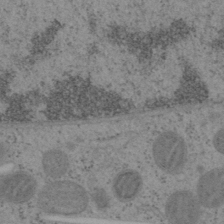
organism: Mouse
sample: OT-I killer T cells with ID8 ovarian cancer cells